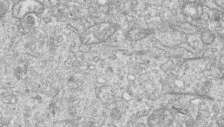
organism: Human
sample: HeLa cell HIV synapse